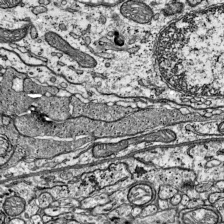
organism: Mouse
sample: Visual Cortex